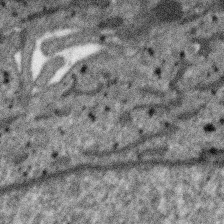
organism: Human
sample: Lung epithelial cells infected with SARS-CoV-2